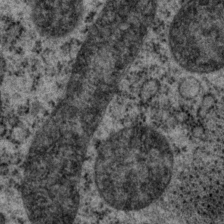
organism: P. pacificus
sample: Pharynx